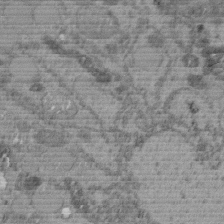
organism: C. elegans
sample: C. elegans embryo early stage